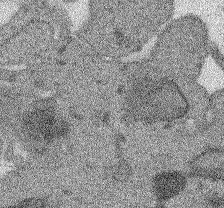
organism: Human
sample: HeLa cells